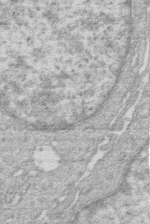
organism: Human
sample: Macrophage cells